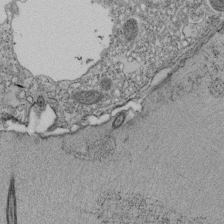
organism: Tetrahymena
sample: Cilia in tetrahymena